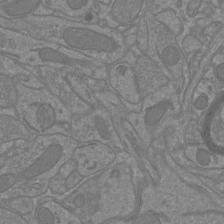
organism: Mouse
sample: Cortical neurons